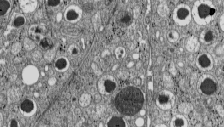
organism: C57BL Mouse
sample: Pancreatic islet